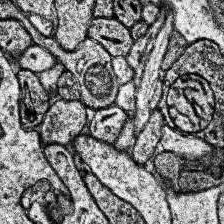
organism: Human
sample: Temporal Lobe